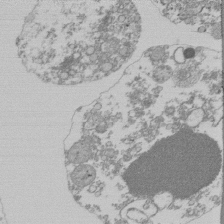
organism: Mouse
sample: Activated Pmel transgenic CD8+ T Cells